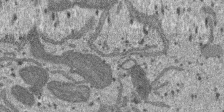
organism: Human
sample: Lung epithelial cells infected with SARS-CoV-2